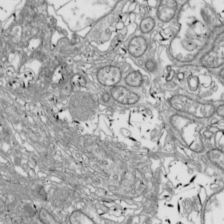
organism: Drosophila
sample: Cell division; meiosis; drosophila spermatocytes